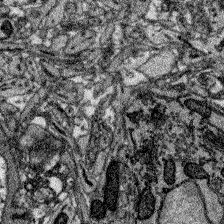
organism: Zebrafish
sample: Larval olfactory bulb